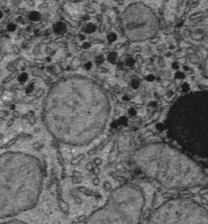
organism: C57BL Mouse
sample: Liver